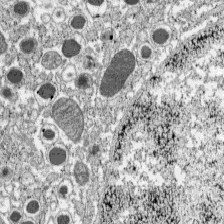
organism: C57BL Mouse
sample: Pancreatic islet